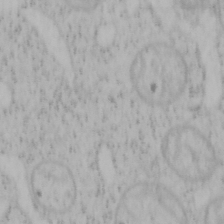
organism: Mouse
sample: OT-I killer T cells with ID8 ovarian cancer cells